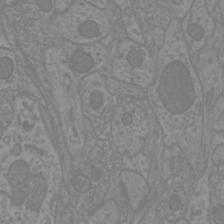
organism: Mouse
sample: Cortical neurons